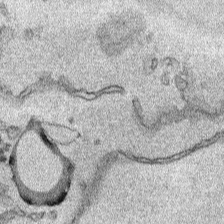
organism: Human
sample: Mitochondria in HCT116 cells